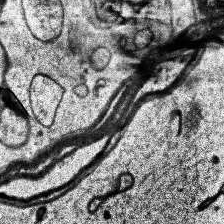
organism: Human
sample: Temporal Lobe